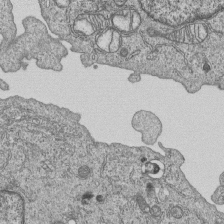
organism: Human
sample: MDA-MB-231 cells